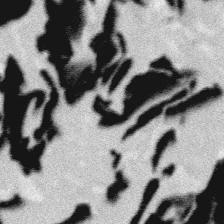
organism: Platynereis dumerilii